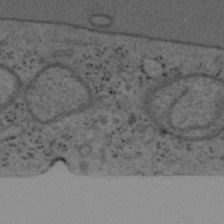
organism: Human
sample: HeLa cells